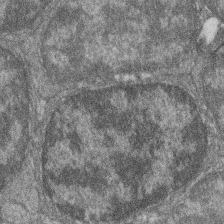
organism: Zebrafish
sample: Cilia; retinal pigment epithelium